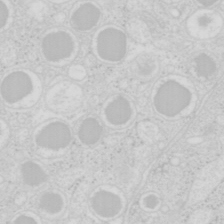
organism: Mouse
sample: Pancreas